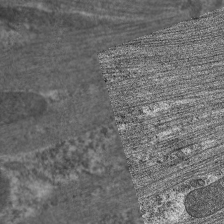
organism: C. elegans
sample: Pharynx